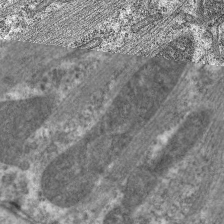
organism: C. elegans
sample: Pharynx